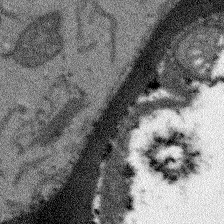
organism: Arabidopsis thaliana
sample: Root tip